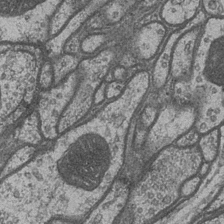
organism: Drosophila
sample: Optic medulla